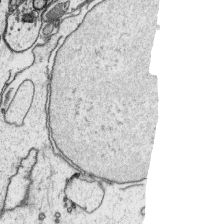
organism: Platynereis dumerilii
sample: Parapodia